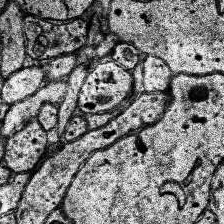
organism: Human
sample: Temporal Lobe